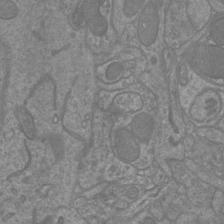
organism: Mouse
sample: Cortical neurons